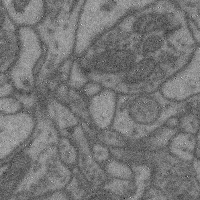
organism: Mouse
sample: Cerebral cortex